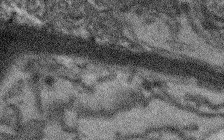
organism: Arabidopsis thaliana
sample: Root tip